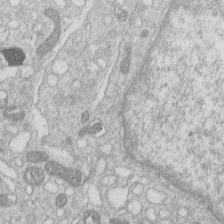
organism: Human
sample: Macrophage cells